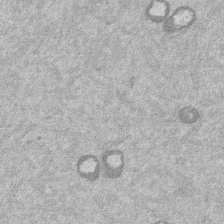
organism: Mouse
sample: Dividing mouse embryo 1 cell stage